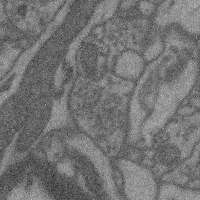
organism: Mouse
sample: Cerebral cortex